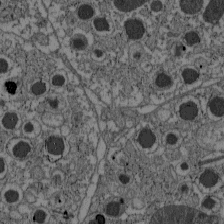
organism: C57BL Mouse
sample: Pancreatic islet